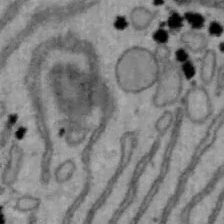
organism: Mouse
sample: Liver